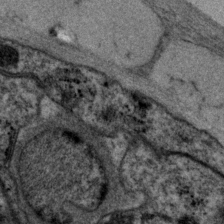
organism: P. pacificus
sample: Pharynx